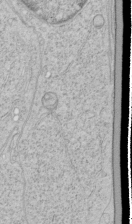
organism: Human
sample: Mitochondria in HCT116 cells